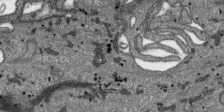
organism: Human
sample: Lung epithelial cells, uninfected (mock) control